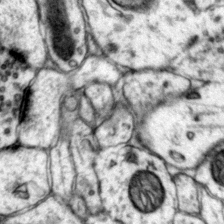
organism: Mouse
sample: Primary visual cortex